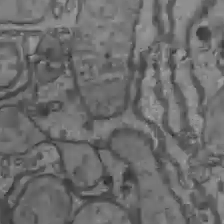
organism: C57BL Mouse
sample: Liver